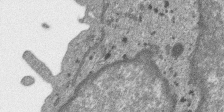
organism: Human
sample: Lung epithelial cells infected with SARS-CoV-2